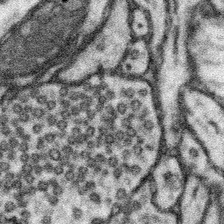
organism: Mouse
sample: Somatosensory cortex neuropil